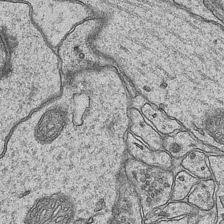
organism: Mouse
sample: CA1 Hippocampus